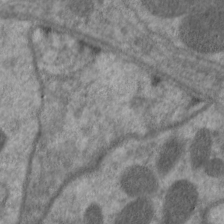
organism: C. elegans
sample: Pharynx